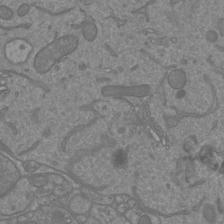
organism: Mouse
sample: Cortical neurons